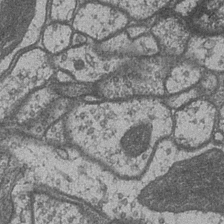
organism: Drosophila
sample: Optic medulla